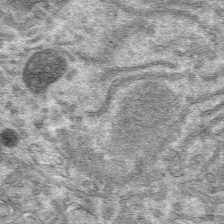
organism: Mouse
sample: Mouse hepatocytes